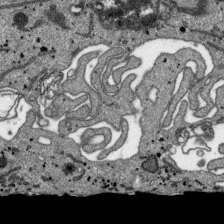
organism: Human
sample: Lung epithelial cells, uninfected (mock) control